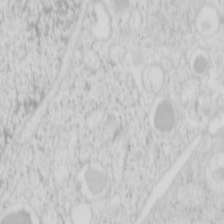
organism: Mouse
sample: Pancreas